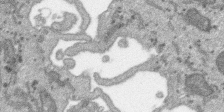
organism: Human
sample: Lung epithelial cells infected with SARS-CoV-2